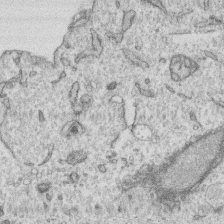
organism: Human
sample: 1205lu cells